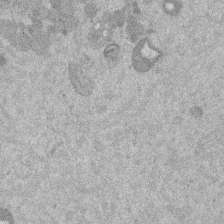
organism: Mouse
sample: Dividing mouse embryo 1 cell stage